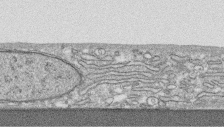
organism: Human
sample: CRL-1474